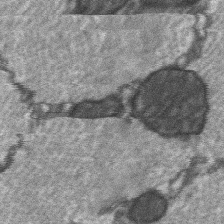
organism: C57BL Mouse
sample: Soleus